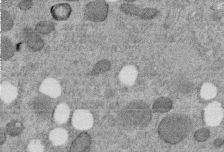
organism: C. elegans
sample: C. elegans embryo early stage